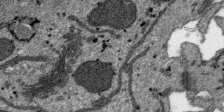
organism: Human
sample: Lung epithelial cells, uninfected (mock) control